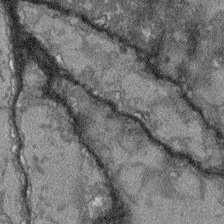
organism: Arabidopsis thaliana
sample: Root tip